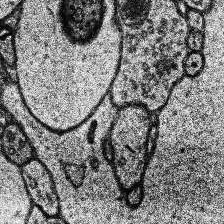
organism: Human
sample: Temporal Lobe